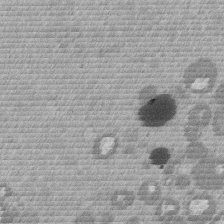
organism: Mouse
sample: Dividing mouse embryo 1 cell stage